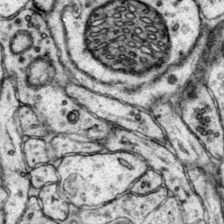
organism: Mouse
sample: Primary visual cortex